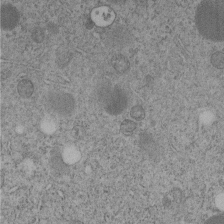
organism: C. elegans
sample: C. elegans embryo early stage